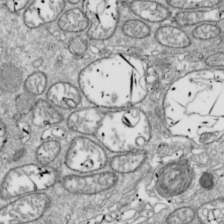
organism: Drosophila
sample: Cell division; meiosis; drosophila spermatocytes